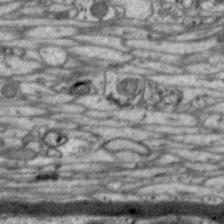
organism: Zebra finch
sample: Brain